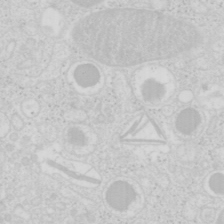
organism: Mouse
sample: Pancreas